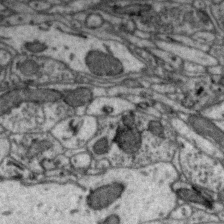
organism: Zebra finch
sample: Brain